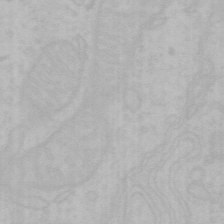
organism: Mouse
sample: Choroid plexus